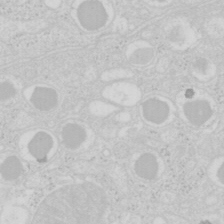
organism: Mouse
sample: Pancreas